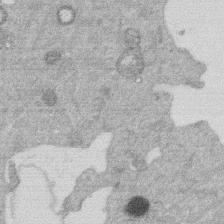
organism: Mouse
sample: Dividing mouse embryo 1 cell stage